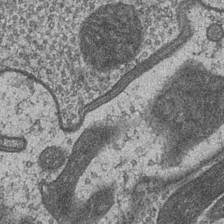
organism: Drosophila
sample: Optic medulla